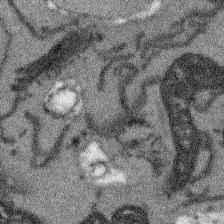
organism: Arabidopsis thaliana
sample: Root tip